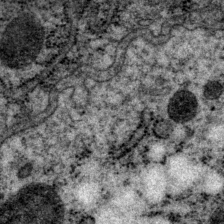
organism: P. pacificus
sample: Pharynx